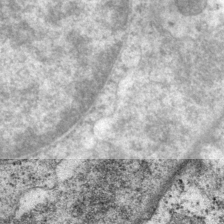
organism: P. pacificus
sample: Pharynx